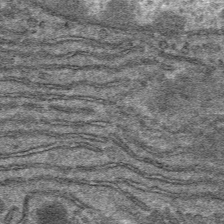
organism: Mouse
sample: Mouse hepatocytes